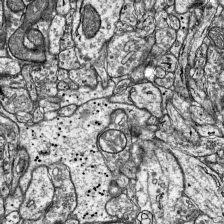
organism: Mouse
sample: Visual Cortex